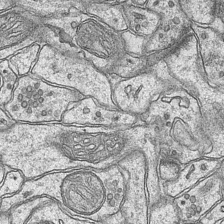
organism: Mouse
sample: CA1 Hippocampus